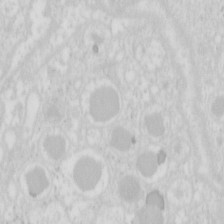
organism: Mouse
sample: Pancreas